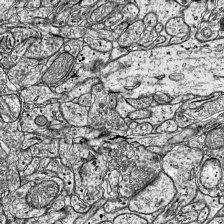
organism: Mouse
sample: Visual Cortex